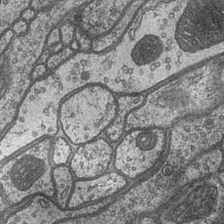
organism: Drosophila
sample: Optic medulla